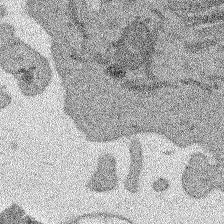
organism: Human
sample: HeLa cells